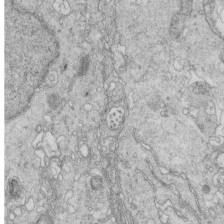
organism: Mouse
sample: Multiciliated cells